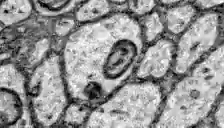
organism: Zebrafish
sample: Brain